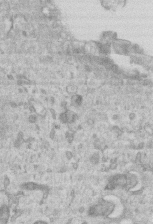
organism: Mouse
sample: Centriole in ependymal cells